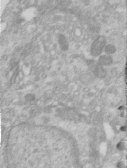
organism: Human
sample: Centriole in RPE cells